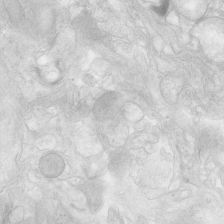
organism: Human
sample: Neocortex